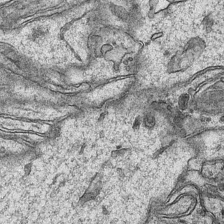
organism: Mouse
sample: CA1 Hippocampus